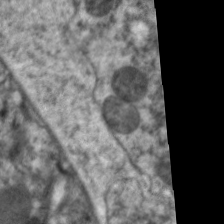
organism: C. elegans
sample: Pharynx